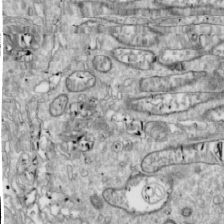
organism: Drosophila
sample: Cell division; meiosis; drosophila spermatocytes